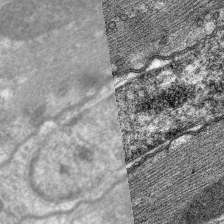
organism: C. elegans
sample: Pharynx